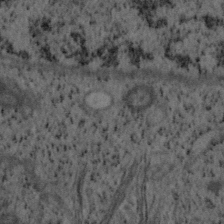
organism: Human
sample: HeLa cells